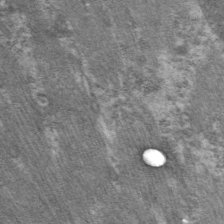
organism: C. elegans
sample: Pharynx